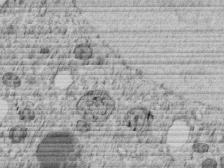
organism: C. elegans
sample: C. elegans embryo early stage